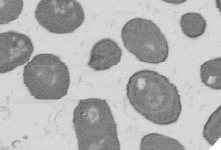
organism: B. subtilis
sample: Bacterial spore